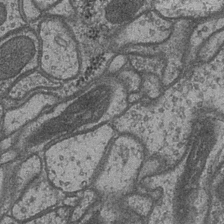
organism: Drosophila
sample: Optic medulla